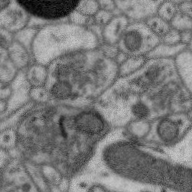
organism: Zebra finch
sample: Brain